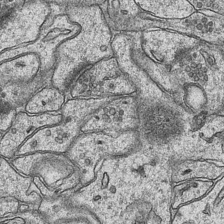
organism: Mouse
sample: CA1 Hippocampus